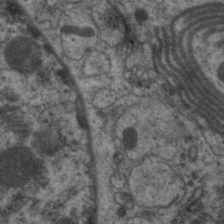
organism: C. elegans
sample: Pharynx